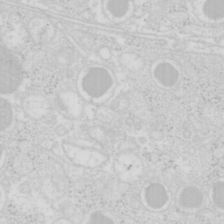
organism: Mouse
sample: Pancreas